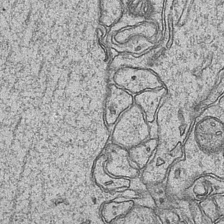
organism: Mouse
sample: CA1 Hippocampus